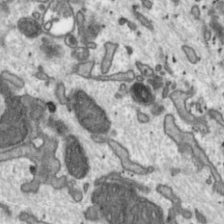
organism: Toxoplasma gondii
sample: Parasites in a vacuole inside a host cell